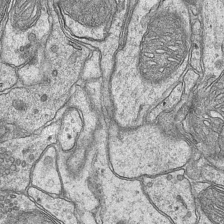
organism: Mouse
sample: CA1 Hippocampus